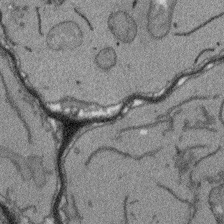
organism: Arabidopsis thaliana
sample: Root tip